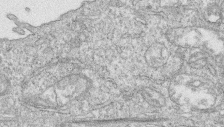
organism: Human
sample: HeLa cell HIV synapse